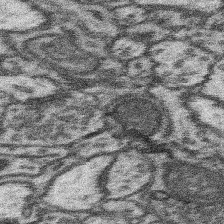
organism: Mouse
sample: Somatosensory cortex neuropil